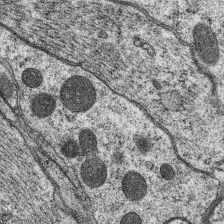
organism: C. elegans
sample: Pharynx